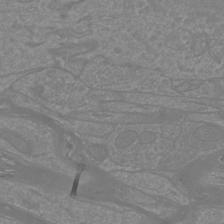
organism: Mouse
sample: Cortical neurons